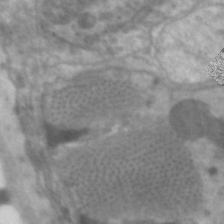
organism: C. elegans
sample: Pharynx